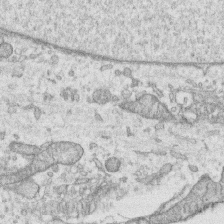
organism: Human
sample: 1205lu cells